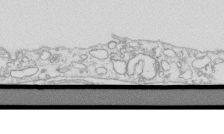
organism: Mouse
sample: Macrophages